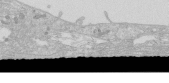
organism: Human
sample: Caco-2 cells